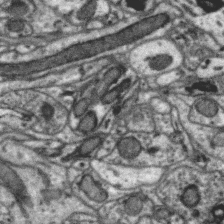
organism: Zebra finch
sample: Brain